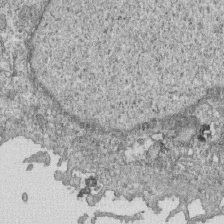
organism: Human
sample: HeLa cell HIV synapse